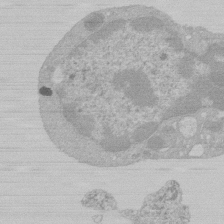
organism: Mouse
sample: Activated Pmel transgenic CD8+ T Cells